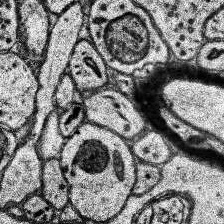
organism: Human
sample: Temporal Lobe